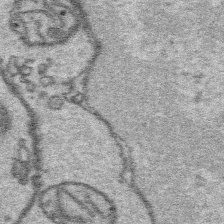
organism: Platynereis dumerilii